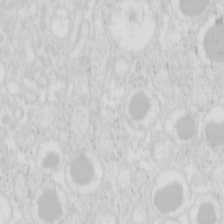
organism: Mouse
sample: Pancreas